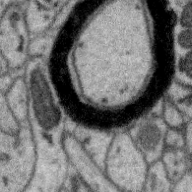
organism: Zebra finch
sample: Brain